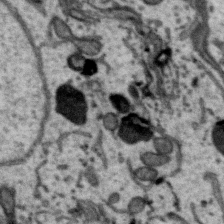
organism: Zebra finch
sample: Brain